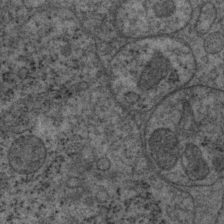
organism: P. pacificus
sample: Pharynx